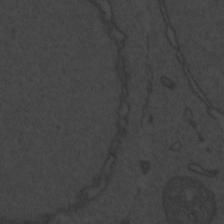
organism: Zebrafish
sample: Macrophage infected with Toxoplasma gondii